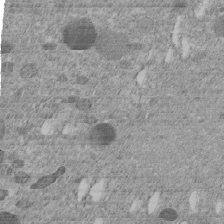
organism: C. elegans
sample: C. elegans embryo early stage